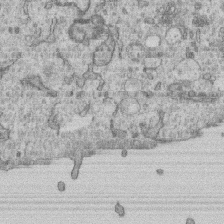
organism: Human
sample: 1205lu cells